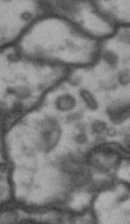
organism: Drosophila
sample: Brain